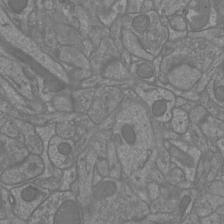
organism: Mouse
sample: Cortical neurons